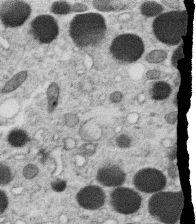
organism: C. elegans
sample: C. elegans oocyte; sperm cells